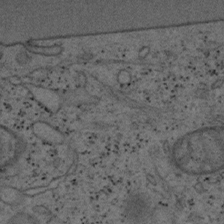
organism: Human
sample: HeLa cells